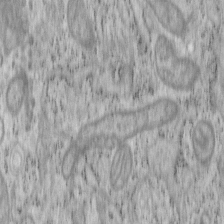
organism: Human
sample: HeLa cells